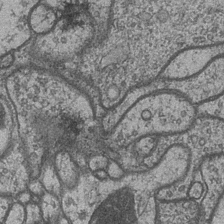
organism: Drosophila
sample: Optic medulla